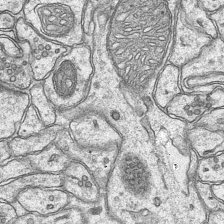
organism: Mouse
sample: CA1 Hippocampus